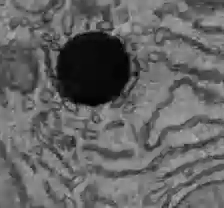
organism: C57BL Mouse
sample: Liver